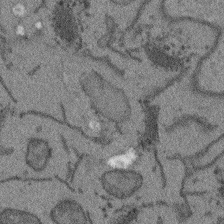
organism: Arabidopsis thaliana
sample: Root tip